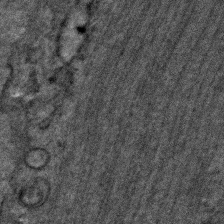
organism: C. elegans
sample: C. elegans embryo